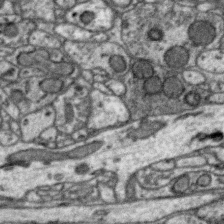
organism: Zebra finch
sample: Brain